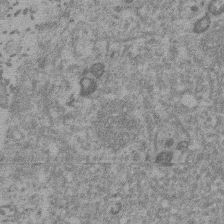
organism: Mouse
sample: Dividing mouse embryo 1 cell stage